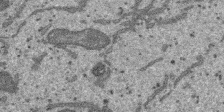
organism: Human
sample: Lung epithelial cells infected with SARS-CoV-2